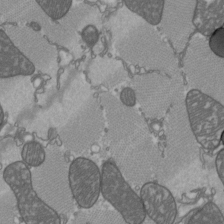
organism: C57BL Mouse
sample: Heart